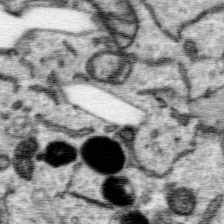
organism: Human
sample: HeLa cells